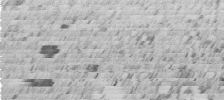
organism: C. elegans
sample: C. elegans embryo early stage